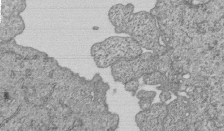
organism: Human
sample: MDA-MB-231 cells